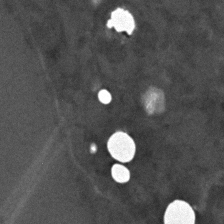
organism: C. elegans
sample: C. elegans embryo